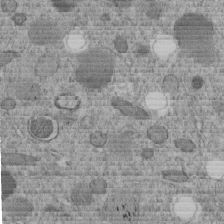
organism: C. elegans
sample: C. elegans embryo early stage